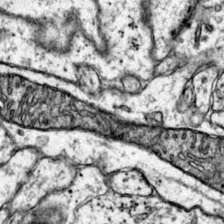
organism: Mouse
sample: Primary visual cortex